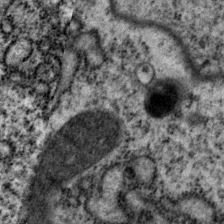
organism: P. pacificus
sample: Pharynx